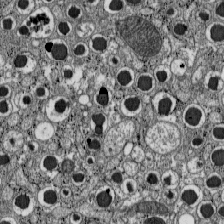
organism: C57BL Mouse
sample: Pancreatic islet